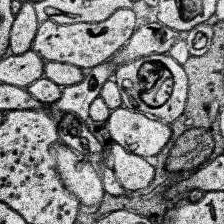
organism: Human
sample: Temporal Lobe